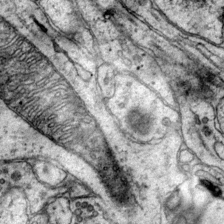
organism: Mouse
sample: Primary visual cortex